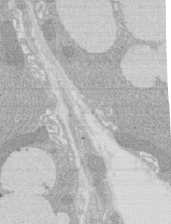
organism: Rat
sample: Salivary granule